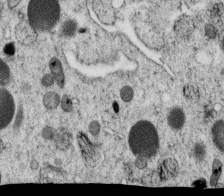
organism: C. elegans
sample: C. elegans oocyte; sperm cells